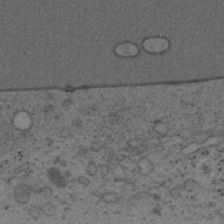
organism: Human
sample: HeLa cells